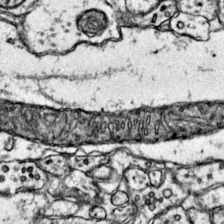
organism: Mouse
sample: Primary visual cortex